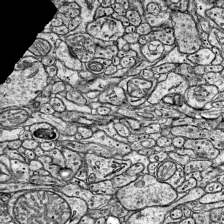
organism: Mouse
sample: Visual Cortex